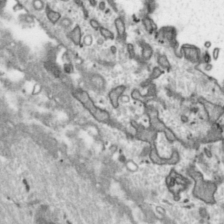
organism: Toxoplasma gondii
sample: Parasites in a vacuole inside a host cell